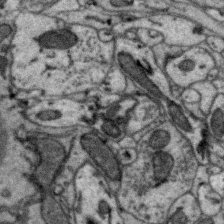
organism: Zebra finch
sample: Brain